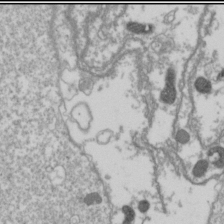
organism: Drosophila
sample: Cell division; meiosis; drosophila spermatocytes